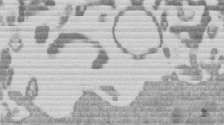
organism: Mouse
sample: Dividing mouse embryo 1 cell stage